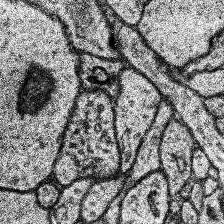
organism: Human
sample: Temporal Lobe